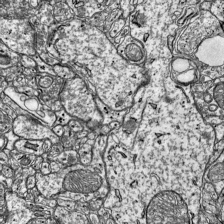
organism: Mouse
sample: Visual Cortex